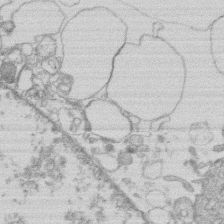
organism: Human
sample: Macrophage cells